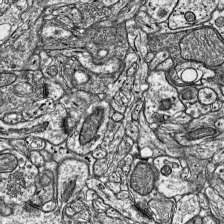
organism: Mouse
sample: Visual Cortex